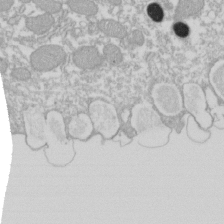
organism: Xenopus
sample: Cilia; centrioles in frog embryo cells